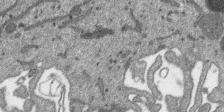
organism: Human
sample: Lung epithelial cells infected with SARS-CoV-2